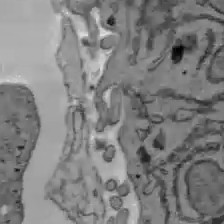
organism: C57BL Mouse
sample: Liver